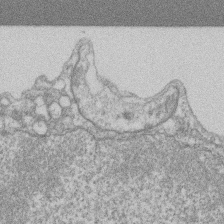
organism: Mouse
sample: T cell stromal cell synapse